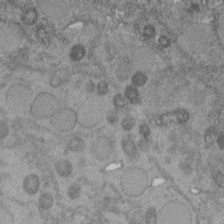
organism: C. elegans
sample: C. elegans embryo early stage